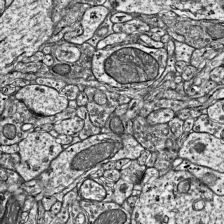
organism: Mouse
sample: Visual Cortex